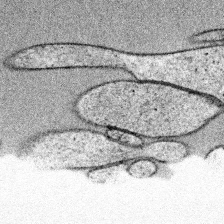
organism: Human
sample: HeLa cells